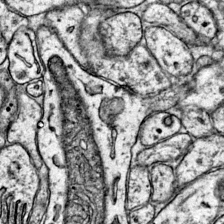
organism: Mouse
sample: Primary visual cortex